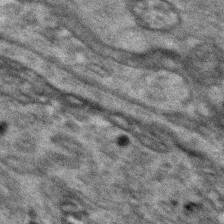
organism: Zebrafish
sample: Zebrafish embryo